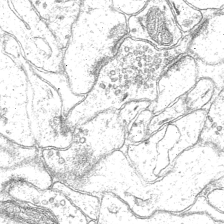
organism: Mouse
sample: CA1 Hippocampus